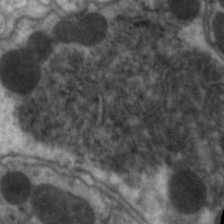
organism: C. elegans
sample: Pharynx